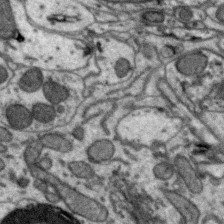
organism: Zebra finch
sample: Brain